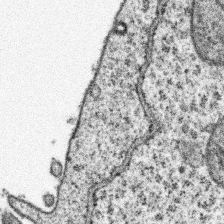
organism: Human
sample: HeLa cells